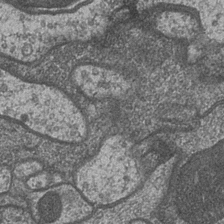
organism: Drosophila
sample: Optic medulla